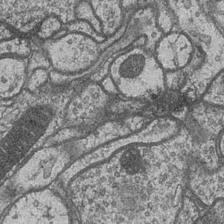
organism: Drosophila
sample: Optic medulla